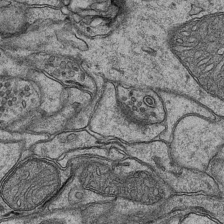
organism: Mouse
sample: CA1 Hippocampus